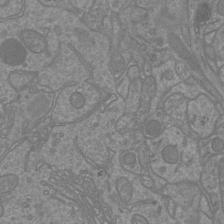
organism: Mouse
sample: Cortical neurons